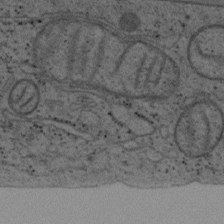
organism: Human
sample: HeLa cells